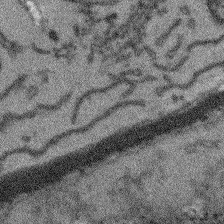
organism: Arabidopsis thaliana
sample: Root tip